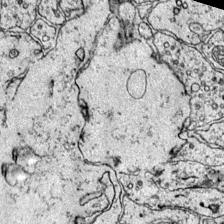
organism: Mouse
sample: Primary visual cortex